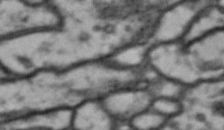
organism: Drosophila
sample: Brain